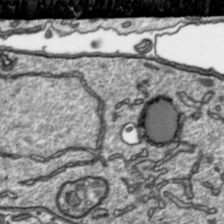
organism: Toxoplasma gondii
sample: Parasites in a vacuole inside a host cell